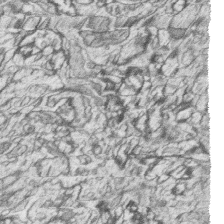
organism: Zebrafish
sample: synaptic ribbons in rod cells and cone cells